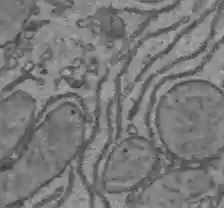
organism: C57BL Mouse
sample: Liver